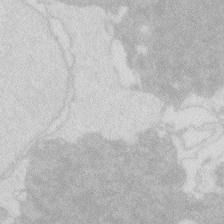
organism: Zebrafish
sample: Macrophage